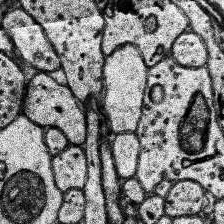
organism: Human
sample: Temporal Lobe